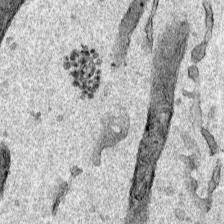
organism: Human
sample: Mitochondria in HCT116 cells